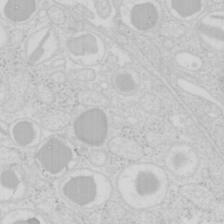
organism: Mouse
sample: Pancreas